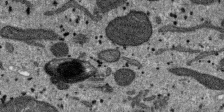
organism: Human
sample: Lung epithelial cells, uninfected (mock) control